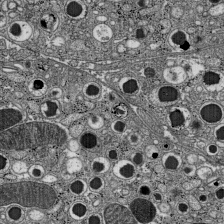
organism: C57BL Mouse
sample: Pancreatic islet